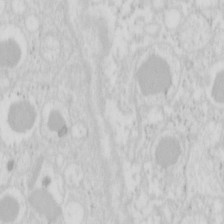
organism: Mouse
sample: Pancreas